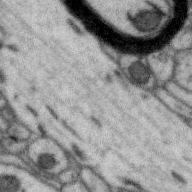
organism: Zebra finch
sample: Brain